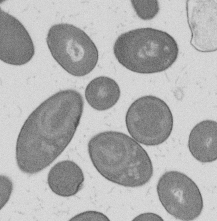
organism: B. subtilis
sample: Bacterial spore